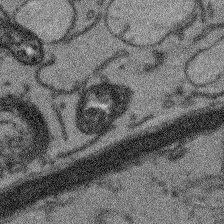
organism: Arabidopsis thaliana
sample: Root tip